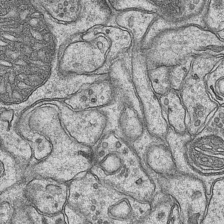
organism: Mouse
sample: CA1 Hippocampus